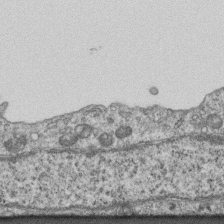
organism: Mouse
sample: Centriole in ependymal cells